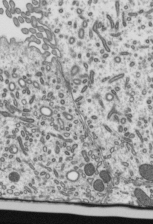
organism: Mouse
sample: Mouse epididymis efferent ductule cilia